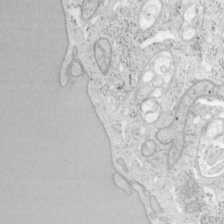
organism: Mouse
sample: OT-I killer T cells with ID8 ovarian cancer cells